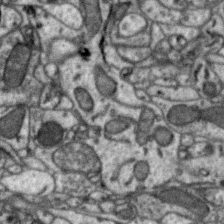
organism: Zebra finch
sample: Brain